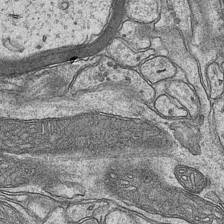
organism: Mouse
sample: CA1 Hippocampus